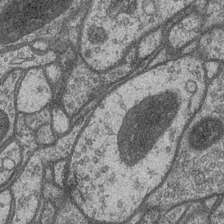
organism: Drosophila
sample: Optic medulla